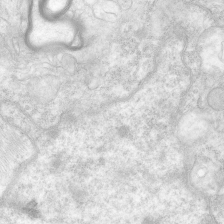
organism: Human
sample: Neocortex